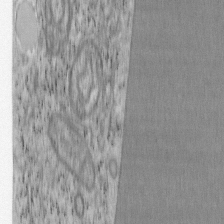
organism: Human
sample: HeLa cells